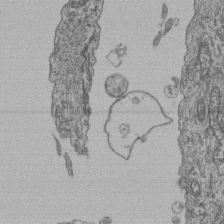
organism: Human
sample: Retinal organoid Rod and Cone cells